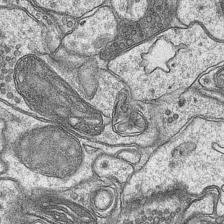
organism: Mouse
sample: CA1 Hippocampus